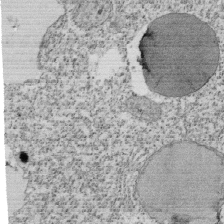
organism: Tetrahymena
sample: Cilia in tetrahymena